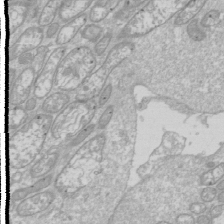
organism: Drosophila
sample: Cell division; meiosis; drosophila spermatocytes